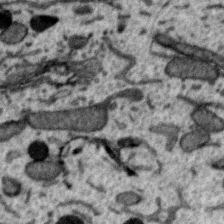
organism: Zebra finch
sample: Brain